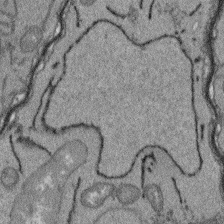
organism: Arabidopsis thaliana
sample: Root tip